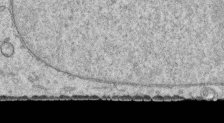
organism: Human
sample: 1205lu cells